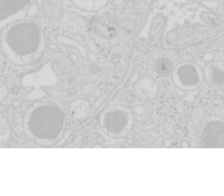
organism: Mouse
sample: Pancreas